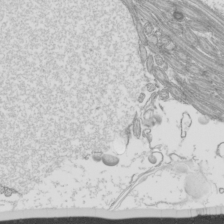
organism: Mouse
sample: Cilia; mouse epididymis